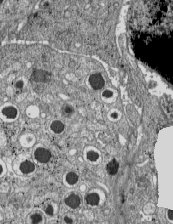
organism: C57BL Mouse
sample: Pancreatic islet